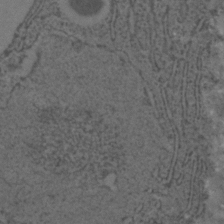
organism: C. elegans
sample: C. elegans embryo